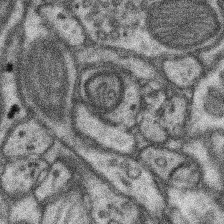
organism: Mouse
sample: Somatosensory cortex neuropil